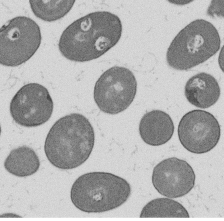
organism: B. subtilis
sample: Bacterial spore